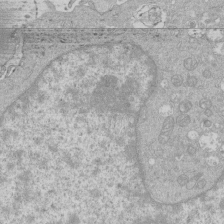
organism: Human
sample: Macrophage cells